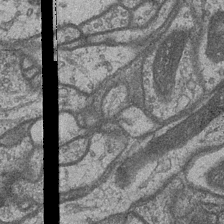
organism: Drosophila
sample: Optic medulla